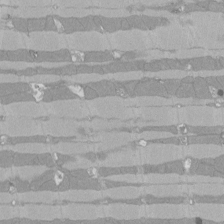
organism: Rat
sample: Left ventricle